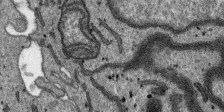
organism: Human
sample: Lung epithelial cells, uninfected (mock) control